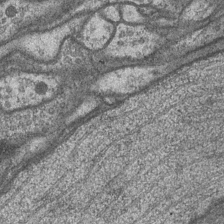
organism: Drosophila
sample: Optic medulla